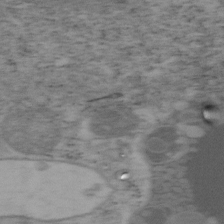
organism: Mouse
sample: OT-I killer T cells with ID8 ovarian cancer cells